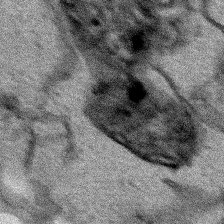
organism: Human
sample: Mitochondria in HCT116 cells